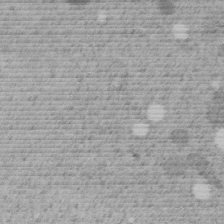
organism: C. elegans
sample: C. elegans embryo early stage